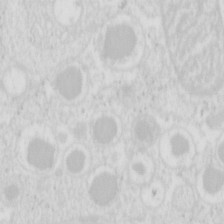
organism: Mouse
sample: Pancreas